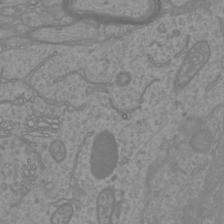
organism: Mouse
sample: Cortical neurons